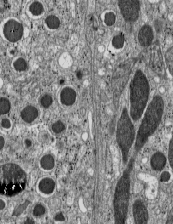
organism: C57BL Mouse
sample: Pancreatic islet